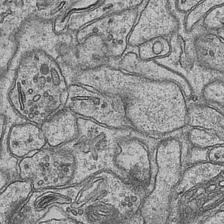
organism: Mouse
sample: CA1 Hippocampus